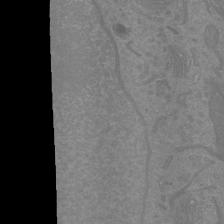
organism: Mouse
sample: Cortical neurons